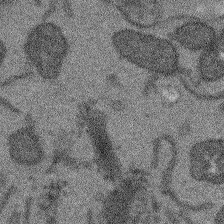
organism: Arabidopsis thaliana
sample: Root tip